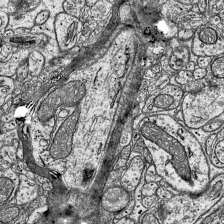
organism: Mouse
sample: Visual Cortex